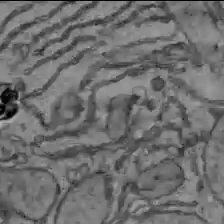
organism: C57BL Mouse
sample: Liver